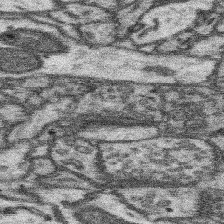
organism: Mouse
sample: Somatosensory cortex neuropil